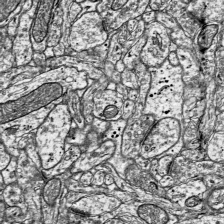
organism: Mouse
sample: Visual Cortex